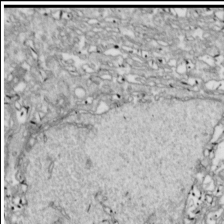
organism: Drosophila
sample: Cell division; meiosis; drosophila spermatocytes